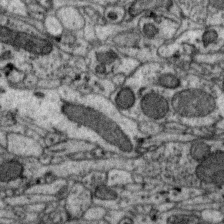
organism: Zebra finch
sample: Brain